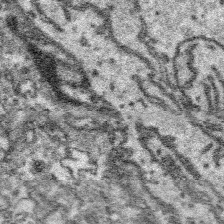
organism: Platynereis dumerilii